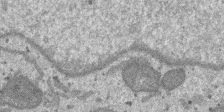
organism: Human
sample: Lung epithelial cells infected with SARS-CoV-2